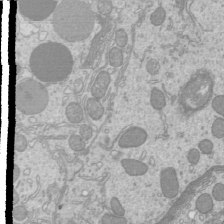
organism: Mouse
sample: Cilia; mouse epididymis